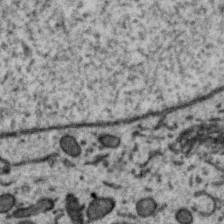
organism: Zebra finch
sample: Brain